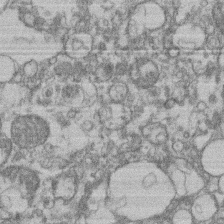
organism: Mouse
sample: T cell stromal cell synapse